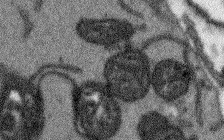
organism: Arabidopsis thaliana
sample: Root tip